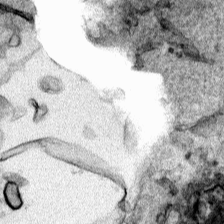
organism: Human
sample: Mitochondria in HCT116 cells